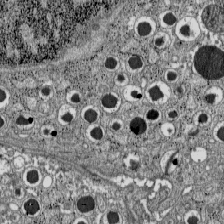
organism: C57BL Mouse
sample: Pancreatic islet